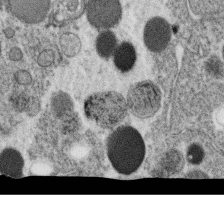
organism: C. elegans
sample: C. elegans oocyte; sperm cells